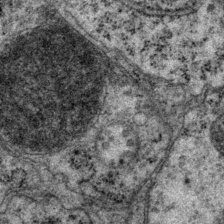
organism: P. pacificus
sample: Pharynx